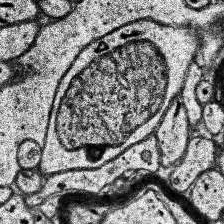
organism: Human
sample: Temporal Lobe